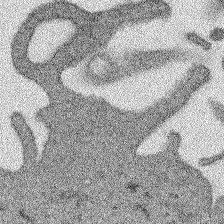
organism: Human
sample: HeLa cells